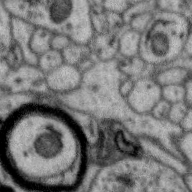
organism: Zebra finch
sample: Brain